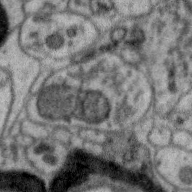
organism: Zebra finch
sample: Brain